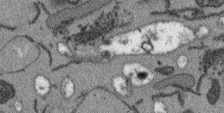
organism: Arabidopsis thaliana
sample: Root tip